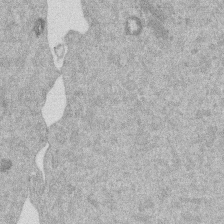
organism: Mouse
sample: Dividing mouse embryo 1 cell stage